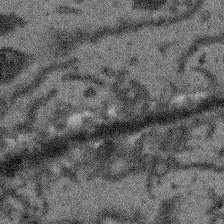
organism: Arabidopsis thaliana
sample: Root tip